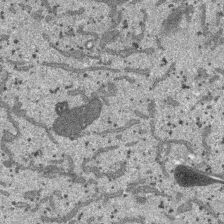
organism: Human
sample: Lung epithelial cells infected with SARS-CoV-2